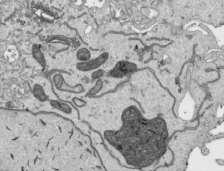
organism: Human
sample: Mitochondria in HCT116 cells